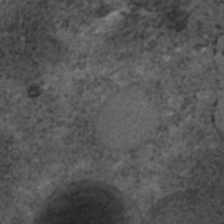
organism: C. elegans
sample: C. elegans embryo